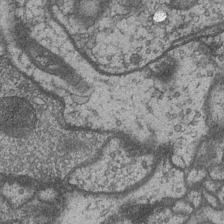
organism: Drosophila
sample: Optic medulla